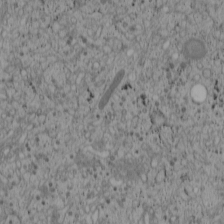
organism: African green monkey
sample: COS-7 cells